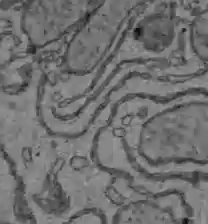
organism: C57BL Mouse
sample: Liver